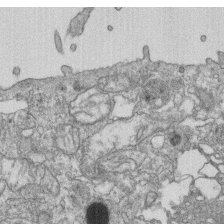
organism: Human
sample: HeLa cell HIV synapse